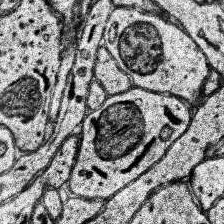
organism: Human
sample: Temporal Lobe